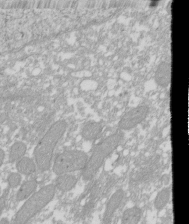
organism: Xenopus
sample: Cilia; centrioles in frog embryo cells